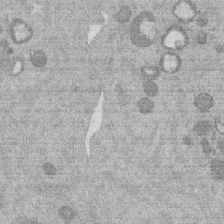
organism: Mouse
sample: Dividing mouse embryo 1 cell stage